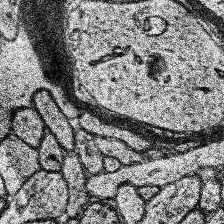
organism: Human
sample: Temporal Lobe